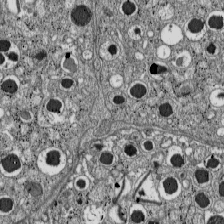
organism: C57BL Mouse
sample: Pancreatic islet